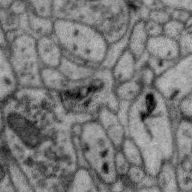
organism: Zebra finch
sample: Brain